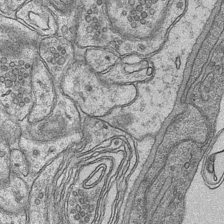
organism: Mouse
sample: CA1 Hippocampus